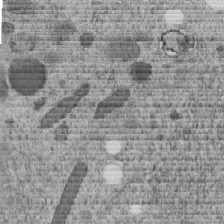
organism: C. elegans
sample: C. elegans embryo early stage